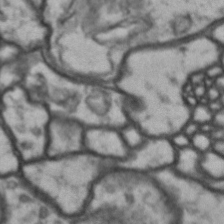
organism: Drosophila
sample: Brain